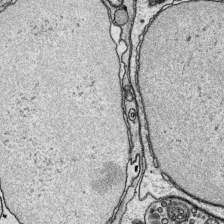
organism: Platynereis dumerilii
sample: Parapodia